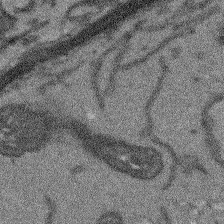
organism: Arabidopsis thaliana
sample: Root tip